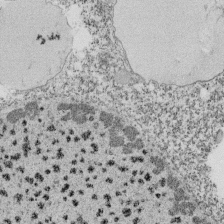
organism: Tetrahymena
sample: Cilia in tetrahymena